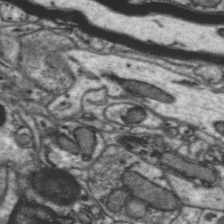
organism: Zebra finch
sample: Brain